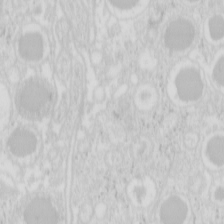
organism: Mouse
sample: Pancreas